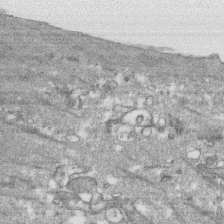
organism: Human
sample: CRL-1474